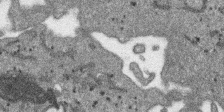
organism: Human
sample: Lung epithelial cells infected with SARS-CoV-2